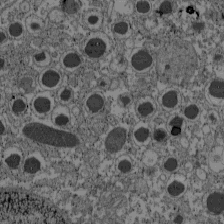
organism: C57BL Mouse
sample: Pancreatic islet